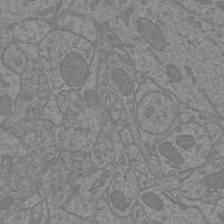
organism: Mouse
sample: Cortical neurons